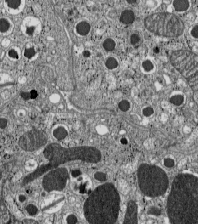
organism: C57BL Mouse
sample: Pancreatic islet